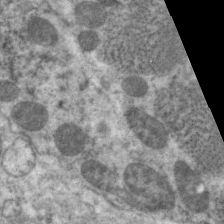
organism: C. elegans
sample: Pharynx